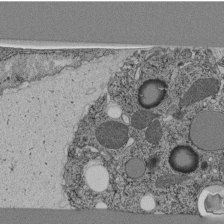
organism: C. elegans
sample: C. elegans pharynx